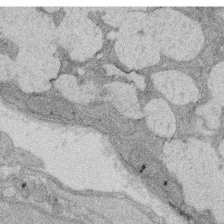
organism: Rat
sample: Salivary granule